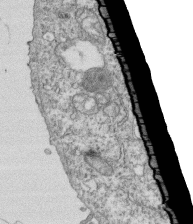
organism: Human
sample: HeLa cell HIV synapse